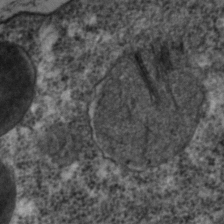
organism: C. elegans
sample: C. elegans embryo